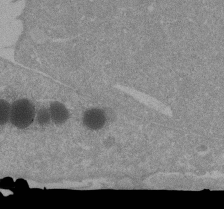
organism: Mouse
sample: ED-1 cell nuclei; centrioles